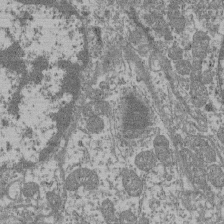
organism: Mouse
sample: Glomerulus